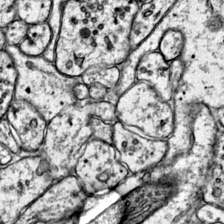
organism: Mouse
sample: Primary visual cortex